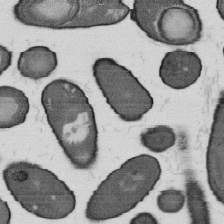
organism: B. subtilis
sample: Bacterial spore